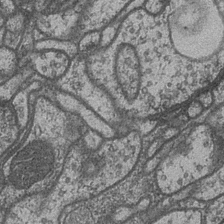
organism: Drosophila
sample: Optic medulla